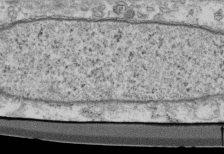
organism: Mouse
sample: Cilia; retinal pigment epithelium